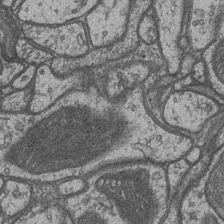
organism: Drosophila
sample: Optic medulla